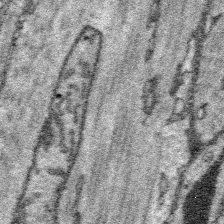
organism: Platynereis dumerilii